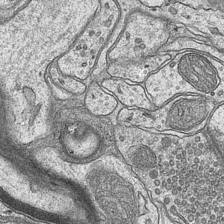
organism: Mouse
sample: CA1 Hippocampus